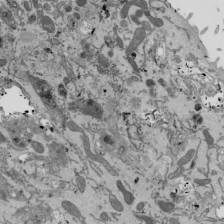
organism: Mouse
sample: ED-1 cell nuclei; centrioles